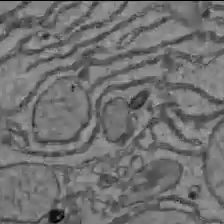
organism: C57BL Mouse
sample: Liver